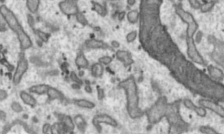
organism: Toxoplasma gondii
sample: Parasites in a vacuole inside a host cell